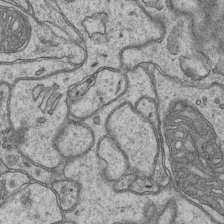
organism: Mouse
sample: CA1 Hippocampus